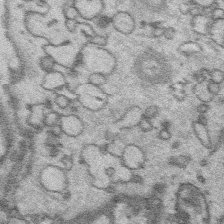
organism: Platynereis dumerilii